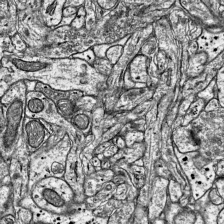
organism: Mouse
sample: Visual Cortex